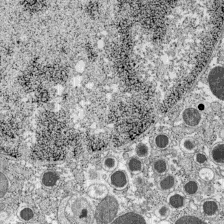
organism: C57BL Mouse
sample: Pancreatic islet